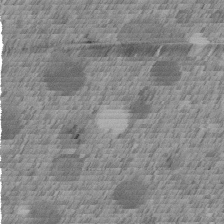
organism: C. elegans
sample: C. elegans embryo early stage